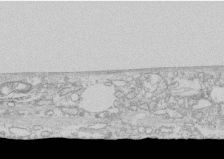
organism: Human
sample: CRL-1474